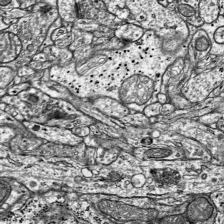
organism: Mouse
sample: Visual Cortex